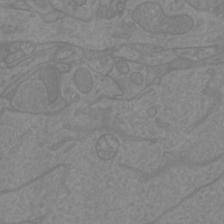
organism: Mouse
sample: Cortical neurons